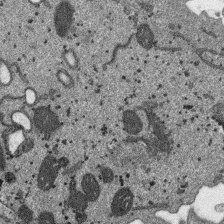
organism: Human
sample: Lung epithelial cells infected with SARS-CoV-2